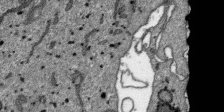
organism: Human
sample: Lung epithelial cells, uninfected (mock) control